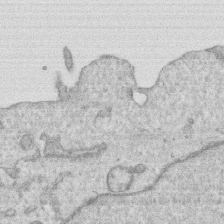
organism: Human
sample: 1205lu cells